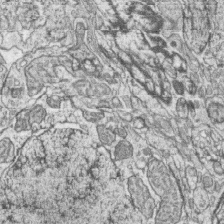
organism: Zebrafish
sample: synaptic ribbons in rod cells and cone cells